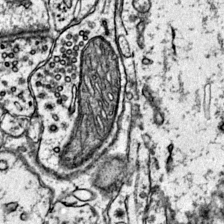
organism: Mouse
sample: Primary visual cortex